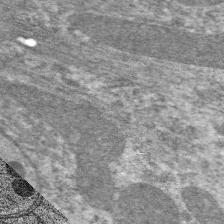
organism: C. elegans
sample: Pharynx